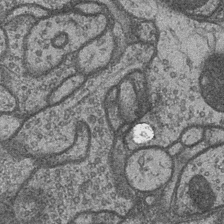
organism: Drosophila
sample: Optic medulla